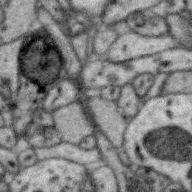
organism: Zebra finch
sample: Brain